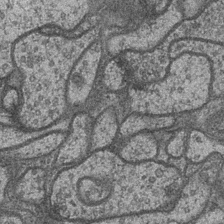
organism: Drosophila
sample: Optic medulla